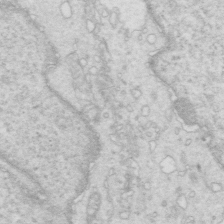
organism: Mouse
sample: Multiciliated cells